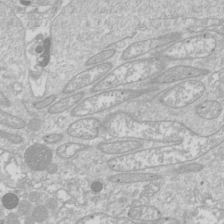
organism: Drosophila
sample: Cell division; meiosis; drosophila spermatocytes